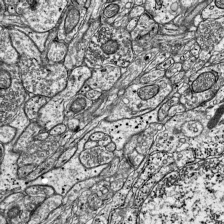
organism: Mouse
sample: Visual Cortex